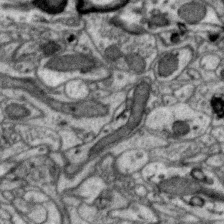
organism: Zebra finch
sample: Brain